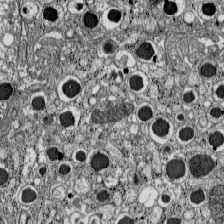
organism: C57BL Mouse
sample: Pancreatic islet